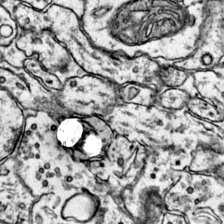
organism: Mouse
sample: Primary visual cortex